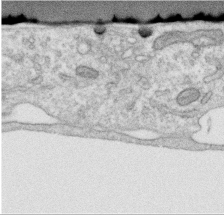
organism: Human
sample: Centriole in RPE cells